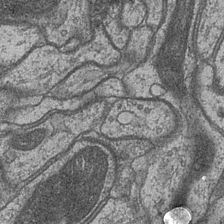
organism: Drosophila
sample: Optic medulla